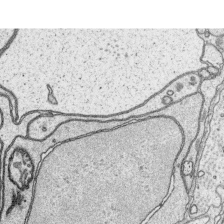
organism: Platynereis dumerilii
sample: Parapodia